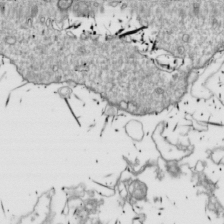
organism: Drosophila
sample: Cell division; meiosis; drosophila spermatocytes